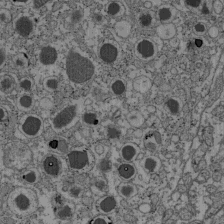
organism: C57BL Mouse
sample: Pancreatic islet